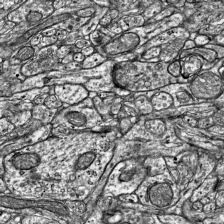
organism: Mouse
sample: Visual Cortex